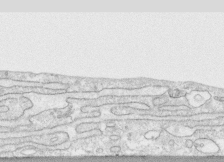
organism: Human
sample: CRL-1474